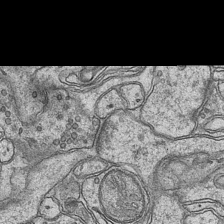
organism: Mouse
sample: CA1 Hippocampus